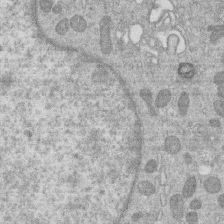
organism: Human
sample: Macrophage cells